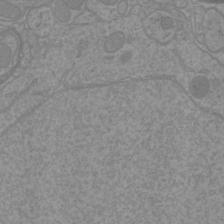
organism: Mouse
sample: Cortical neurons